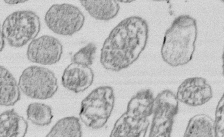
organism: E. coli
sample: Bacterial nucleoid